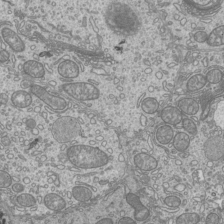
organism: Mouse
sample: Cilia; mouse epididymis